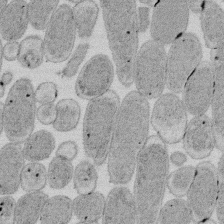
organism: E. coli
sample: Bacterial nucleoid